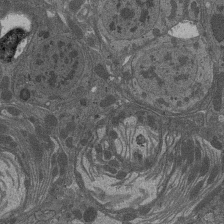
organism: Drosophila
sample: Antenna